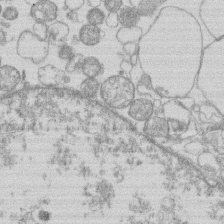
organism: Human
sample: Macrophage cells